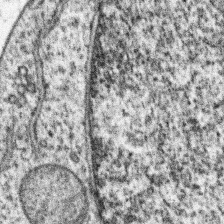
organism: Human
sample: HeLa cells